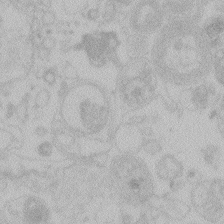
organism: Zebrafish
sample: Macrophage infected with Toxoplasma gondii